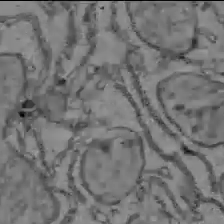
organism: C57BL Mouse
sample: Liver